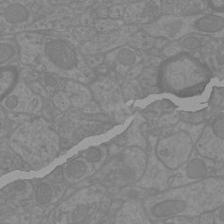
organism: Mouse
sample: Cortical neurons